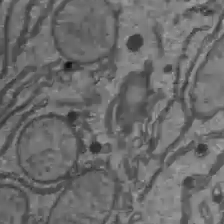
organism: C57BL Mouse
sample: Liver